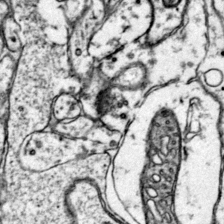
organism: Mouse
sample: Primary visual cortex